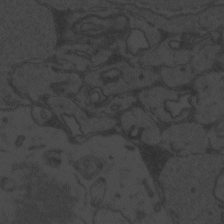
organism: Zebrafish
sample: Macrophage infected with Toxoplasma gondii